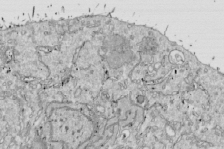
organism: Drosophila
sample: Cell division; meiosis; drosophila spermatocytes